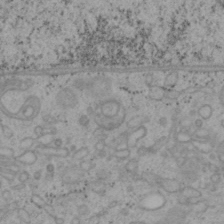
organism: Human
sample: HeLa cells